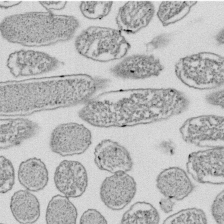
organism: E. coli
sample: Bacterial nucleoid